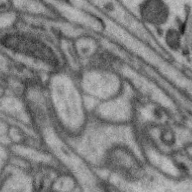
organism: Zebra finch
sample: Brain